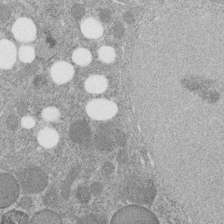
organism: C. elegans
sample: C. elegans embryo early stage